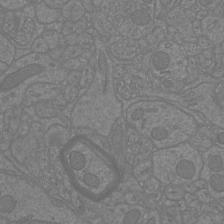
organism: Mouse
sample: Cortical neurons